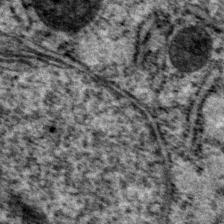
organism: P. pacificus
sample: Pharynx